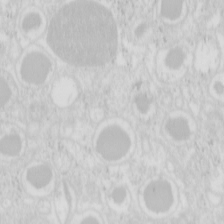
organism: Mouse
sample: Pancreas